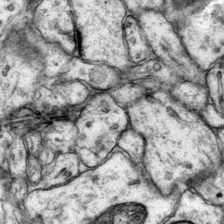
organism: Mouse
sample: Primary visual cortex